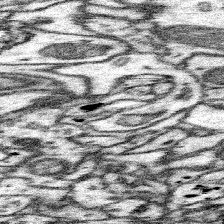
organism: Mouse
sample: Somatosensory cortex neuropil